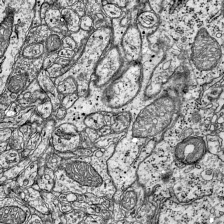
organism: Mouse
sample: Visual Cortex